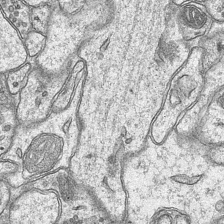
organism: Mouse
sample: CA1 Hippocampus